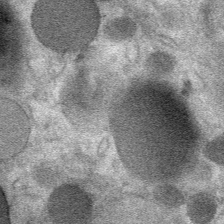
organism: Mouse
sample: Mouse Salivary gland